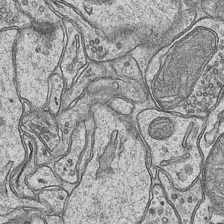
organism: Mouse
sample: CA1 Hippocampus